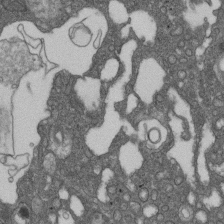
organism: Drosophila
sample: Nephrocyte